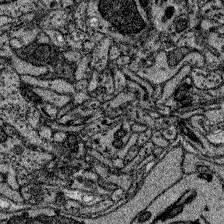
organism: Zebrafish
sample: Larval olfactory bulb